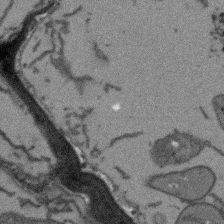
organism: Arabidopsis thaliana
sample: Root tip